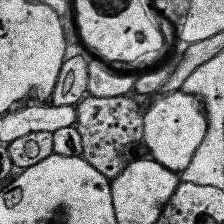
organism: Human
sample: Temporal Lobe